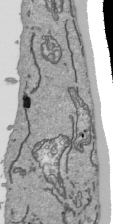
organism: Human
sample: Mitochondria in HCT116 cells